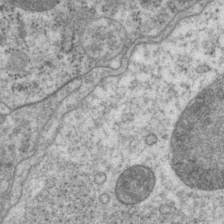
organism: P. pacificus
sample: Pharynx